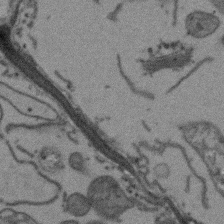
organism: Arabidopsis thaliana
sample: Root tip